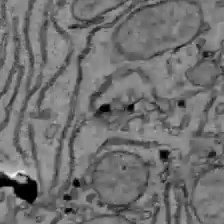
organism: C57BL Mouse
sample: Liver